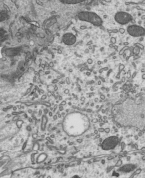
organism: Mouse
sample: Mouse epididymis efferent ductule cilia